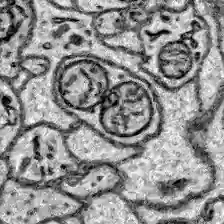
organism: Zebrafish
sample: Brain